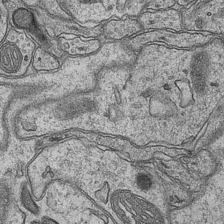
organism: Mouse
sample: CA1 Hippocampus